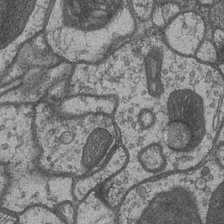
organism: Drosophila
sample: Optic medulla